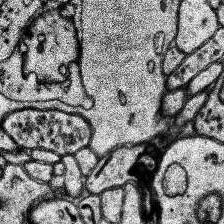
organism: Human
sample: Temporal Lobe